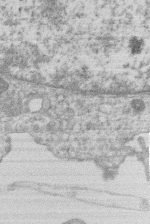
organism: Human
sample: Macrophage cells